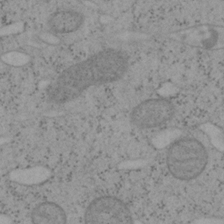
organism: Mouse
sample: OT-I killer T cells with ID8 ovarian cancer cells